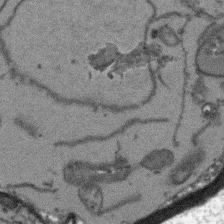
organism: Arabidopsis thaliana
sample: Root tip